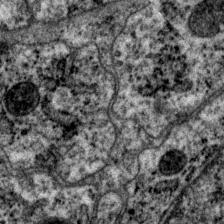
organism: P. pacificus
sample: Pharynx